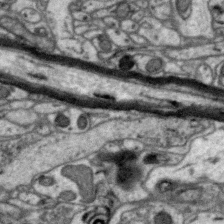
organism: Zebra finch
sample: Brain